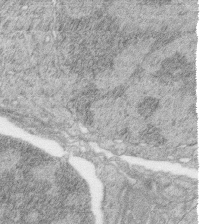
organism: Zebrafish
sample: synaptic ribbons in rod cells and cone cells